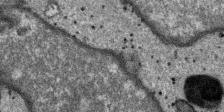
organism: Human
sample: Lung epithelial cells, uninfected (mock) control